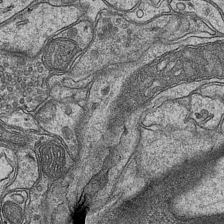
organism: Mouse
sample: CA1 Hippocampus